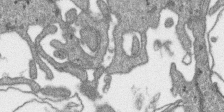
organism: Human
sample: Lung epithelial cells infected with SARS-CoV-2